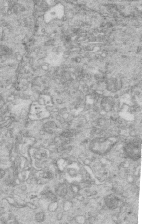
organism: Mouse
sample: Multiciliated cells